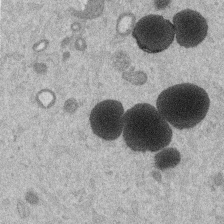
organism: Mouse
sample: Dividing mouse embryo 1 cell stage